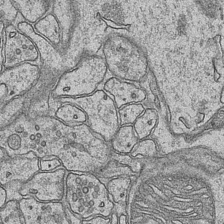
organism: Mouse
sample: CA1 Hippocampus